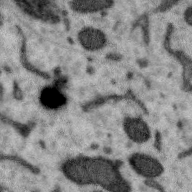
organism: Zebra finch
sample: Brain